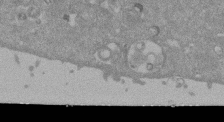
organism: Mouse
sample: ED-1 cell nuclei; centrioles